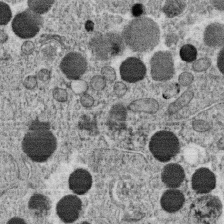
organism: C. elegans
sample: C. elegans oocyte; sperm cells